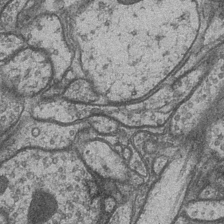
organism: Drosophila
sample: Optic medulla